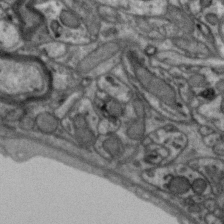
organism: Zebra finch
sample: Brain